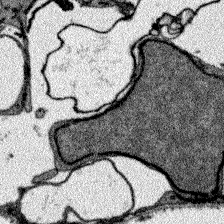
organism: Zebrafish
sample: Larval olfactory bulb